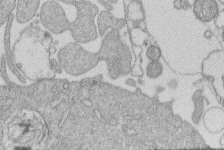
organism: Human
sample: Macrophage cells